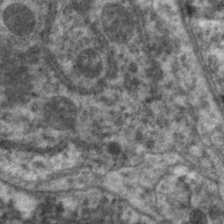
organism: C. elegans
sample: Pharynx